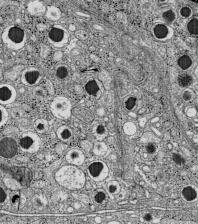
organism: C57BL Mouse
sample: Pancreatic islet